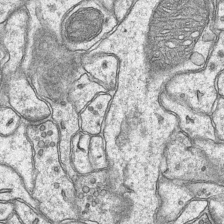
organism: Mouse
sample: CA1 Hippocampus